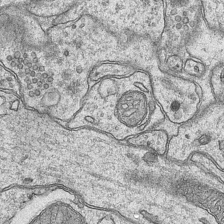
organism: Mouse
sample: CA1 Hippocampus